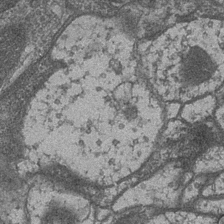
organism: Drosophila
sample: Optic medulla